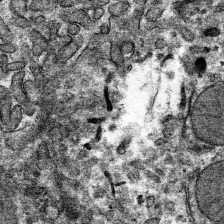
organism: Mouse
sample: Mouse hepatocytes